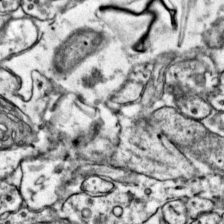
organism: Mouse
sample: Primary visual cortex